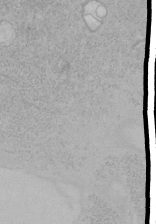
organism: Human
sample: Mitochondria in HCT116 cells